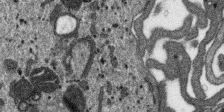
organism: Human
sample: Lung epithelial cells infected with SARS-CoV-2